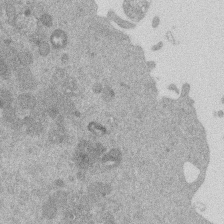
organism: Mouse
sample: Dividing mouse embryo 1 cell stage